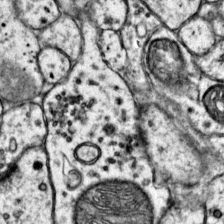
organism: Mouse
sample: Primary visual cortex